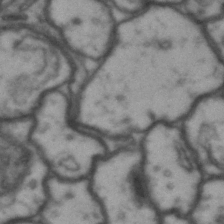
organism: Drosophila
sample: Brain